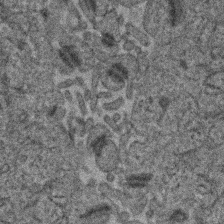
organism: Human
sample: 1205lu cells